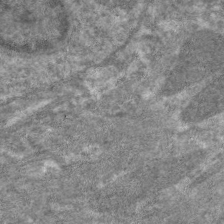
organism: C. elegans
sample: Pharynx